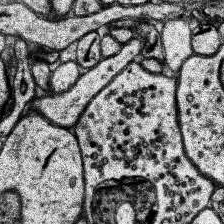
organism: Human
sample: Temporal Lobe